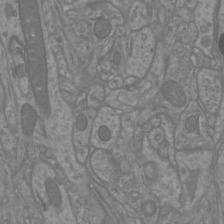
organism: Mouse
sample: Cortical neurons